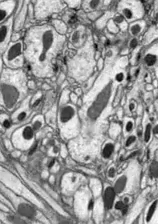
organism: Drosophila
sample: Optic lobe